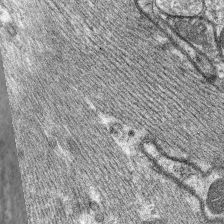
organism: C. elegans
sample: Pharynx